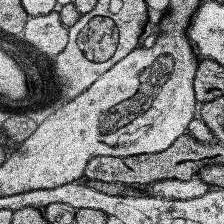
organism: Human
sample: Temporal Lobe